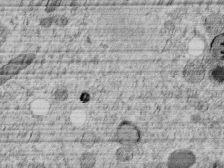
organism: C. elegans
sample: C. elegans embryo early stage